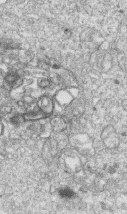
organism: Human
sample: HeLa cell HIV synapse